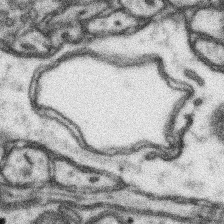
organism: Mouse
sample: Somatosensory cortex neuropil